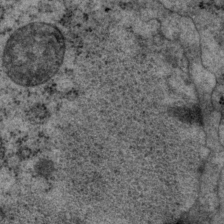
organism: P. pacificus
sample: Pharynx